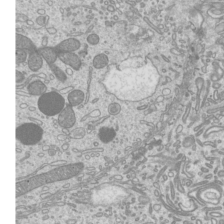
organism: Mouse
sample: Cilia; mouse epididymis